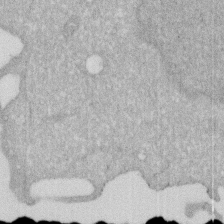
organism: Human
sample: HIV infected U937 cells